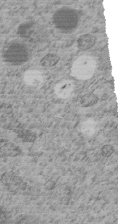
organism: C. elegans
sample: C. elegans embryo early stage